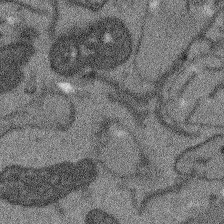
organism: Arabidopsis thaliana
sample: Root tip